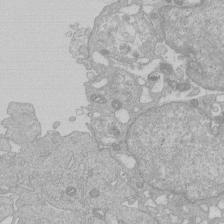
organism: Human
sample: Macrophage cells